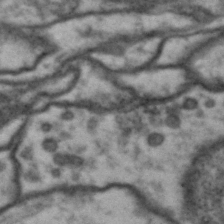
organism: Drosophila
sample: Brain